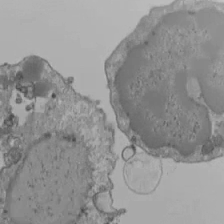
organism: Human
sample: Jurkat E6-1 and CD4 cells